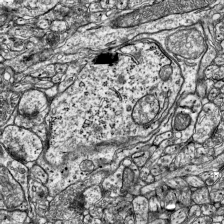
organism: Mouse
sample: Visual Cortex